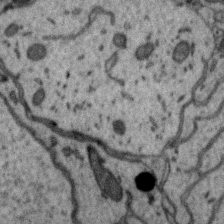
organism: Zebra finch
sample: Brain